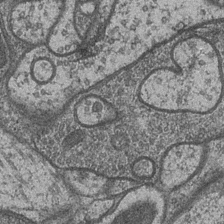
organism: Drosophila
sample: Optic medulla